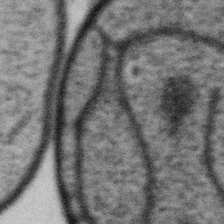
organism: Gemmata obscuriglobus